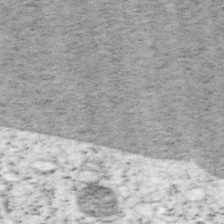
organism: Mouse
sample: OT-I killer T cells with ID8 ovarian cancer cells